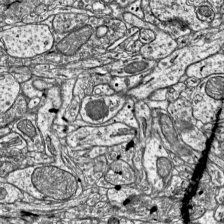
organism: Mouse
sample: Visual Cortex